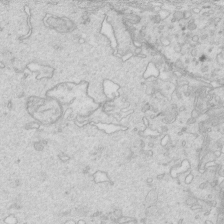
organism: Mouse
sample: Multiciliated cells